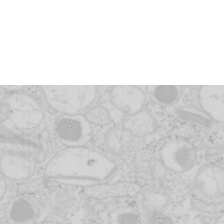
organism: Mouse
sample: Pancreas